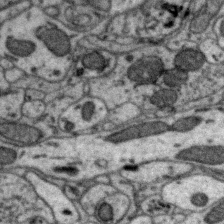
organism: Zebra finch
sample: Brain